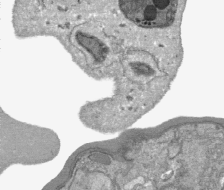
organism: Plasmodium falciparum